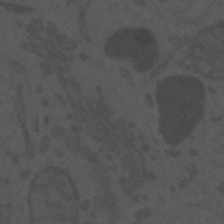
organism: Mouse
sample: Suprachiasmatic nucleus